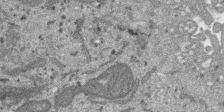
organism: Human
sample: Lung epithelial cells infected with SARS-CoV-2